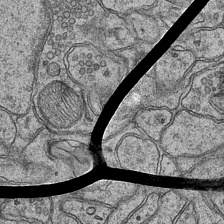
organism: Mouse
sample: CA1 Hippocampus